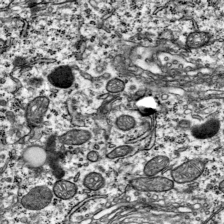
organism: Mouse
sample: Visual Cortex